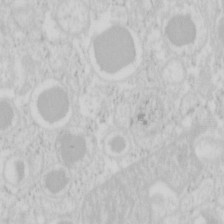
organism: Mouse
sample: Pancreas